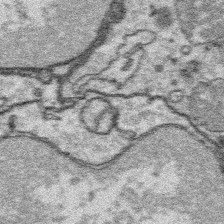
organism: Platynereis dumerilii